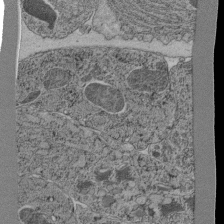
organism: C. elegans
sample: C. elegans pharynx